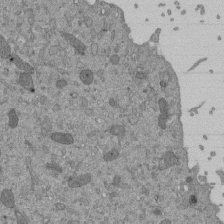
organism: Mouse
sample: ED-1 cell nuclei; centrioles